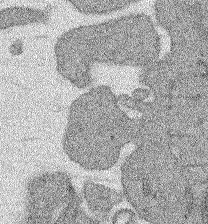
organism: Human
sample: HeLa cells